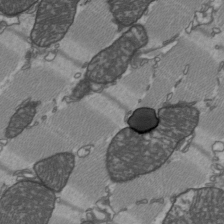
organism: C57BL Mouse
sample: Heart